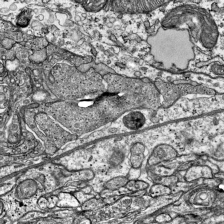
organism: Mouse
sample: Visual Cortex